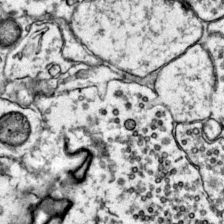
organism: Mouse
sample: Primary visual cortex